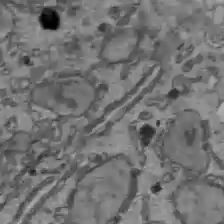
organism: C57BL Mouse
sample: Liver